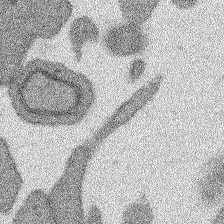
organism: Human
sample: HeLa cells